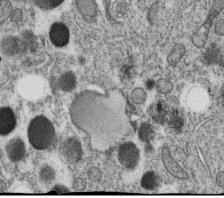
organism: C. elegans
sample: C. elegans oocyte; sperm cells